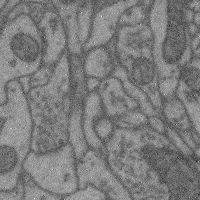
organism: Mouse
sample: Cerebral cortex